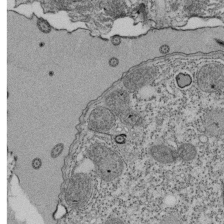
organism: Tetrahymena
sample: Cilia in tetrahymena